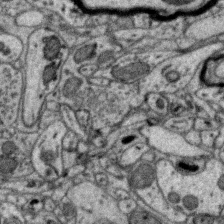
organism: Zebra finch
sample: Brain